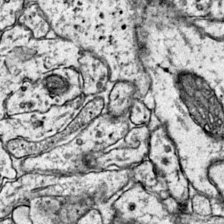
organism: Mouse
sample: Primary visual cortex